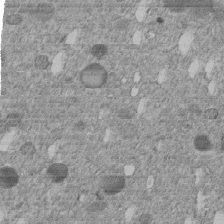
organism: C. elegans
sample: C. elegans embryo early stage